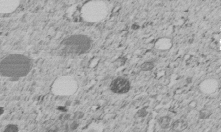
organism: C. elegans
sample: C. elegans embryo early stage